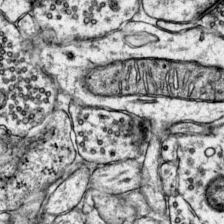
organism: Mouse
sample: Primary visual cortex